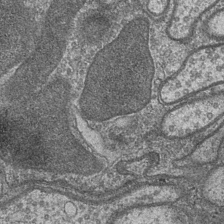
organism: Drosophila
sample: Optic medulla